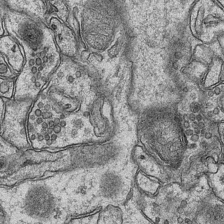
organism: Mouse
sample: CA1 Hippocampus